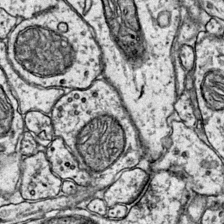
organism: Mouse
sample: Primary visual cortex